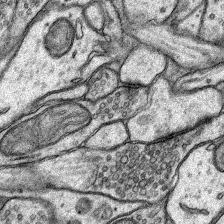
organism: Rat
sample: Hippocampus